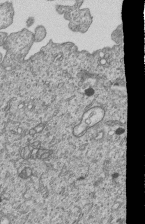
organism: Human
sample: MDA-MB-231 cells